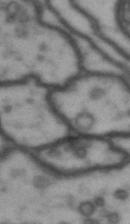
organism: Drosophila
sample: Brain